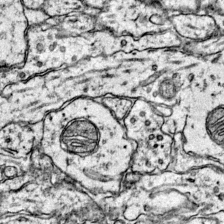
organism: Mouse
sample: Primary visual cortex